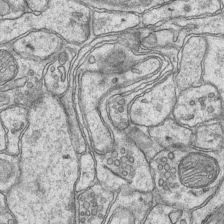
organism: Mouse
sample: CA1 Hippocampus